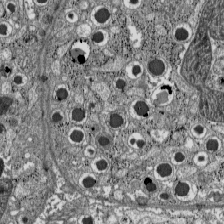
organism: C57BL Mouse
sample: Pancreatic islet